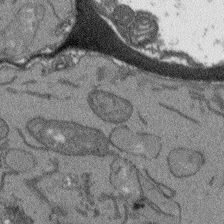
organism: Arabidopsis thaliana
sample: Root tip